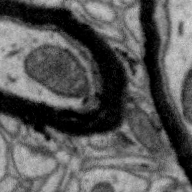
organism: Zebra finch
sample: Brain